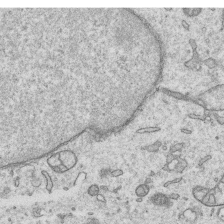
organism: Human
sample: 1205lu cells